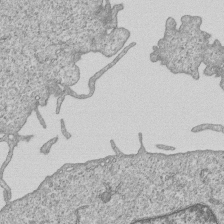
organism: Human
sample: MDA-MB-231 cells